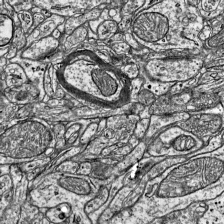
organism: Mouse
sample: Visual Cortex